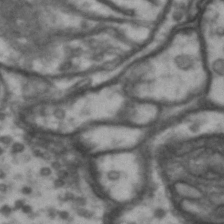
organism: Drosophila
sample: Brain